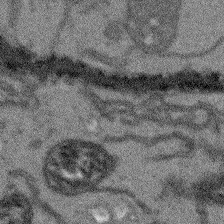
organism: Arabidopsis thaliana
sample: Root tip